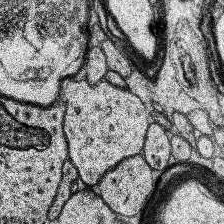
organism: Human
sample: Temporal Lobe